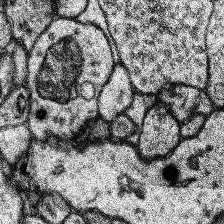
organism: Human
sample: Temporal Lobe